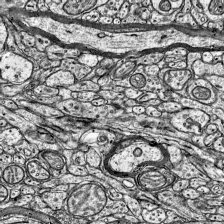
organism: Mouse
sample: Visual Cortex